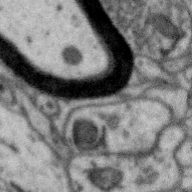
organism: Zebra finch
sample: Brain